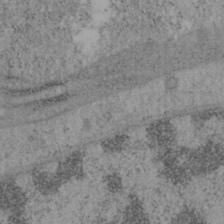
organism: Mouse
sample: OT-I killer T cells with ID8 ovarian cancer cells